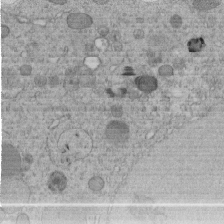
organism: C. elegans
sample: C. elegans embryo early stage